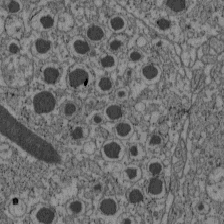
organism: C57BL Mouse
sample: Pancreatic islet